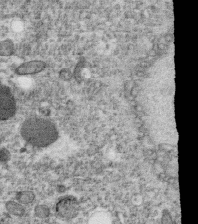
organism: C. elegans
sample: C. elegans oocyte; sperm cells